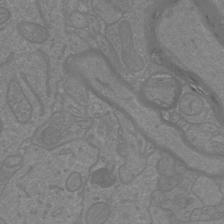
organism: Mouse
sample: Cortical neurons